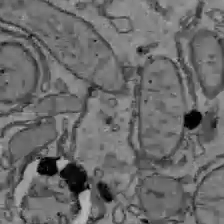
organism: C57BL Mouse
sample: Liver